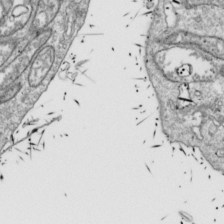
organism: Drosophila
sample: Cell division; meiosis; drosophila spermatocytes